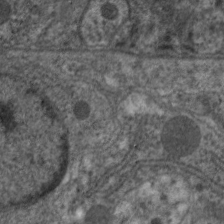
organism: C. elegans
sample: Pharynx